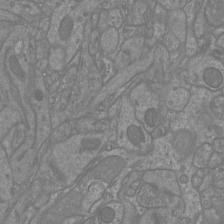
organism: Mouse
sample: Cortical neurons